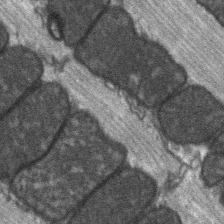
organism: C57BL Mouse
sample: Soleus